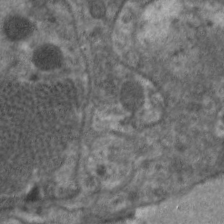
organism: C. elegans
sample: Pharynx